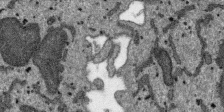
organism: Human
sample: Lung epithelial cells, uninfected (mock) control